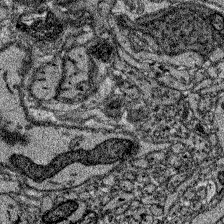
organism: Zebrafish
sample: Larval olfactory bulb